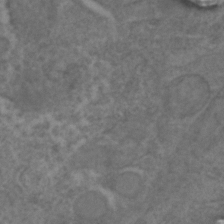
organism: C. elegans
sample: C. elegans embryo